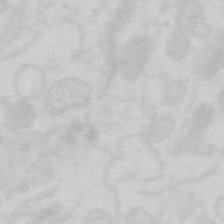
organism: Human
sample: HeLa cells